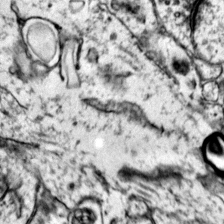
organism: Mouse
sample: Primary visual cortex